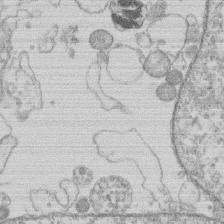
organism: Human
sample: Macrophage cells